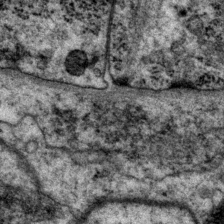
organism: P. pacificus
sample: Pharynx